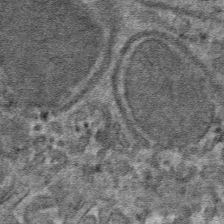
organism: Mouse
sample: Mouse hepatocytes